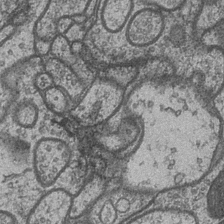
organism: Drosophila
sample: Optic medulla